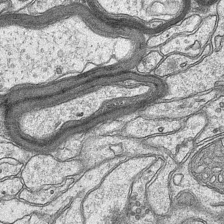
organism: Mouse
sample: CA1 Hippocampus